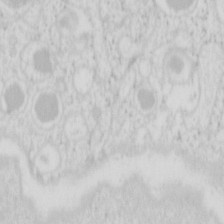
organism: Mouse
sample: Pancreas